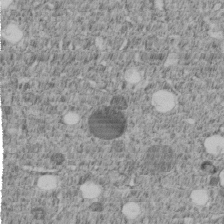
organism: C. elegans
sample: C. elegans embryo early stage